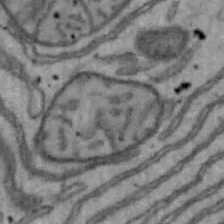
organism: Mouse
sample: Liver